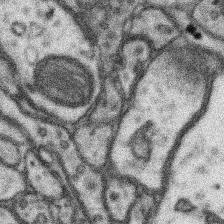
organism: Mouse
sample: Somatosensory cortex neuropil